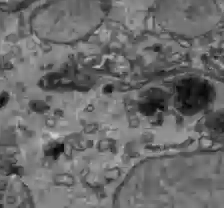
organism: C57BL Mouse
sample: Liver